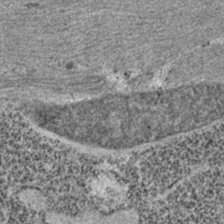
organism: C. elegans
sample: C. elegans embryo